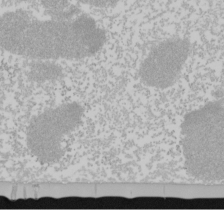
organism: Mouse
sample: Cancer cell death in ED-1 cells